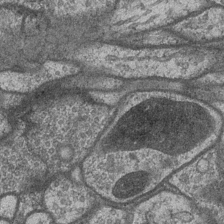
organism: Drosophila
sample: Optic medulla